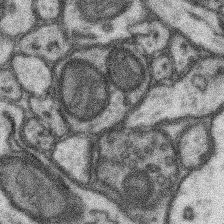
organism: Mouse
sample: Somatosensory cortex neuropil